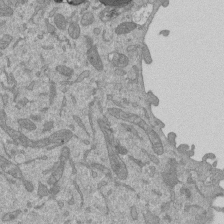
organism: Mouse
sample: ED-1 cell nuclei; centrioles